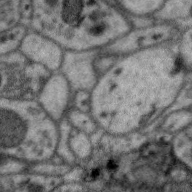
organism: Zebra finch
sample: Brain